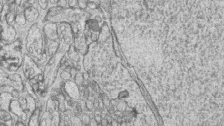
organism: Zebrafish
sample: synaptic ribbons in rod cells and cone cells